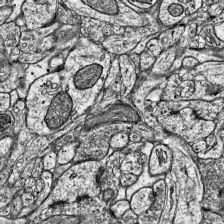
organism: Mouse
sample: Visual Cortex